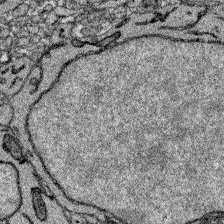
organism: Zebrafish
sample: Larval olfactory bulb